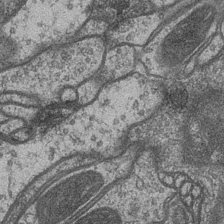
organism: Drosophila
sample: Optic medulla